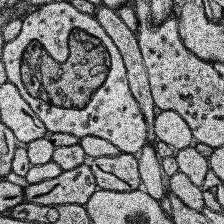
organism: Human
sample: Temporal Lobe